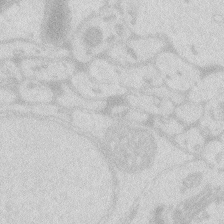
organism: Zebrafish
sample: Macrophage